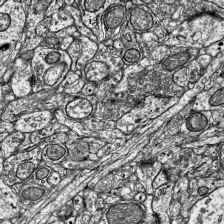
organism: Mouse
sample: Visual Cortex